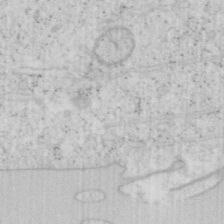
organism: Human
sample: HeLa cells